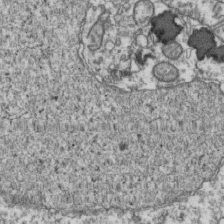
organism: Human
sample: Activated Jurkat CD4+ T cells